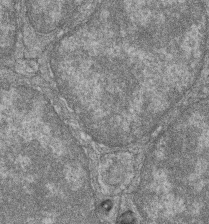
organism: Zebrafish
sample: Cilia; retinal pigment epithelium